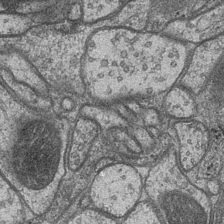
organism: Drosophila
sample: Optic medulla